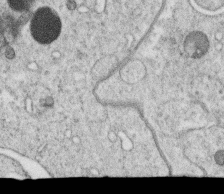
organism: C. elegans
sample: C. elegans oocyte; sperm cells